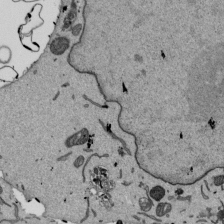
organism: Mouse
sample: ED-1 cell nuclei; centrioles